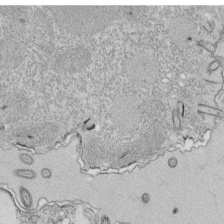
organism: Tetrahymena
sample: Cilia in tetrahymena